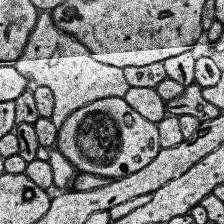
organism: Human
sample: Temporal Lobe